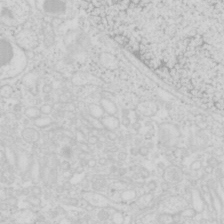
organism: Mouse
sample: Pancreas